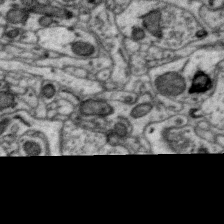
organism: Zebra finch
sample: Brain